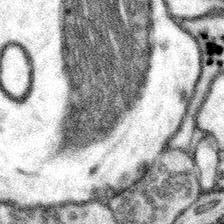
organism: Mouse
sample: Somatosensory cortex neuropil